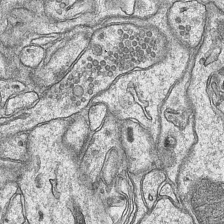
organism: Mouse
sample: CA1 Hippocampus